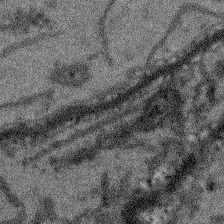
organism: Arabidopsis thaliana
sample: Root tip